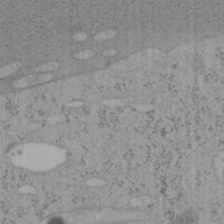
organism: Mouse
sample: OT-I killer T cells with ID8 ovarian cancer cells